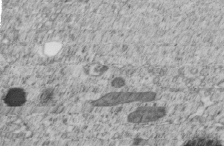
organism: C. elegans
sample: C. elegans embryo early stage